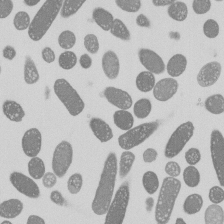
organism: E. coli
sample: Bacterial nucleoid